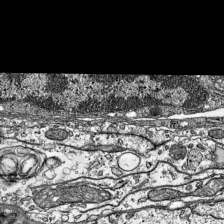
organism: Mouse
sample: Visual Cortex